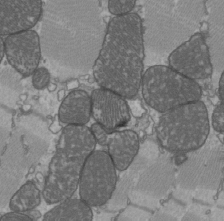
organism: C57BL Mouse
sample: Heart